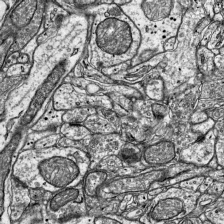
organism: Mouse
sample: Visual Cortex